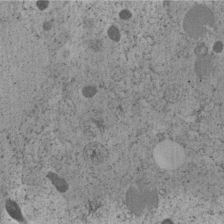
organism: C. elegans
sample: C. elegans embryo early stage